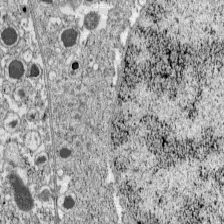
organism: C57BL Mouse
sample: Pancreatic islet